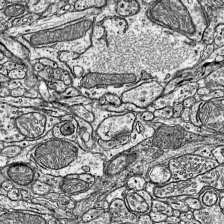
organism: Mouse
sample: Visual Cortex